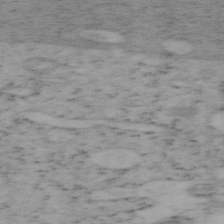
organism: Mouse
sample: OT-I killer T cells with ID8 ovarian cancer cells